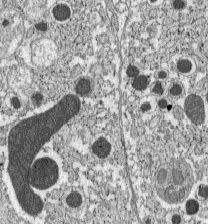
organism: C57BL Mouse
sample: Pancreatic islet